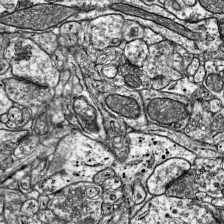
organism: Mouse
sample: Visual Cortex